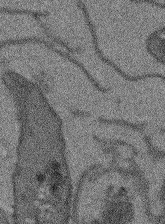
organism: Arabidopsis thaliana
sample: Root tip